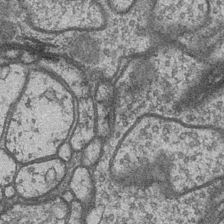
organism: Drosophila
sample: Optic medulla